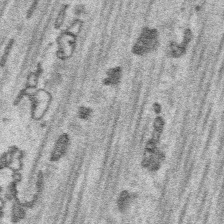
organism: Platynereis dumerilii